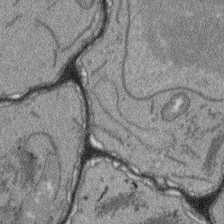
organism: Arabidopsis thaliana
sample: Root tip